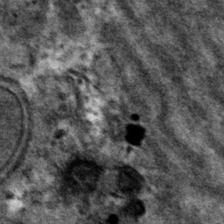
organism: Mouse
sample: Mouse hepatocytes